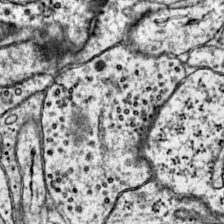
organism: Mouse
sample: Primary visual cortex